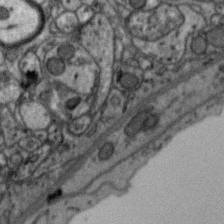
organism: Zebra finch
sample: Brain